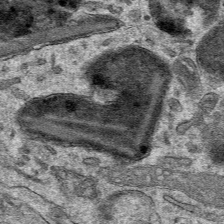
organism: Mouse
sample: Mouse hepatocytes